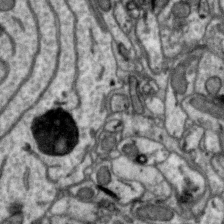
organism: Zebra finch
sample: Brain